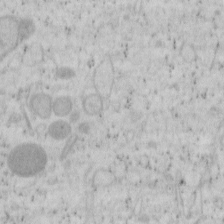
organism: Human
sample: HeLa cells